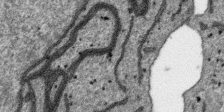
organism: Human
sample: Lung epithelial cells, uninfected (mock) control